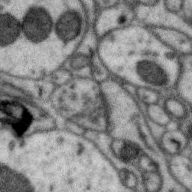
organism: Zebra finch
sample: Brain